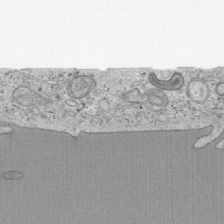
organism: Human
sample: HeLa cells